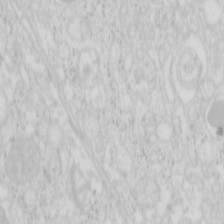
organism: Mouse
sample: Pancreas